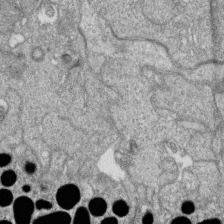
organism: Zebrafish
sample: Cilia; retinal pigment epithelium